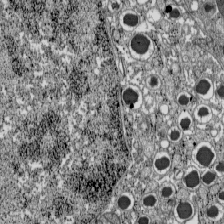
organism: C57BL Mouse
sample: Pancreatic islet